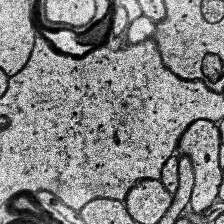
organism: Human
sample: Temporal Lobe